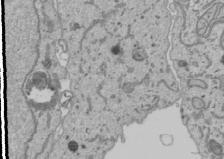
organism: Human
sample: Mitochondria in U2OS cells